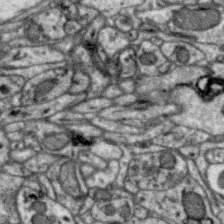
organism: Zebra finch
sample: Brain